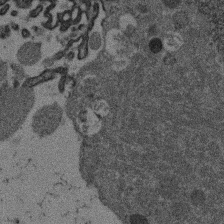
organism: Mouse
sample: Dividing mouse embryo 1 cell stage